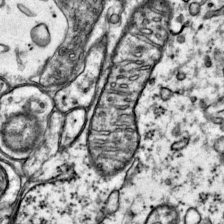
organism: Mouse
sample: Primary visual cortex